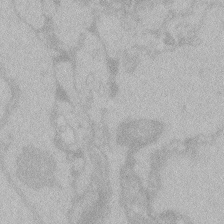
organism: Zebrafish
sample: Macrophage infected with Toxoplasma gondii